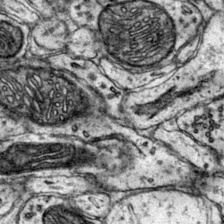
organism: Mouse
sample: Primary visual cortex